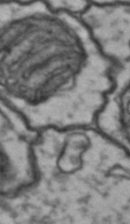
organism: Drosophila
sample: Brain